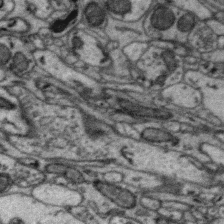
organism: Zebra finch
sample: Brain